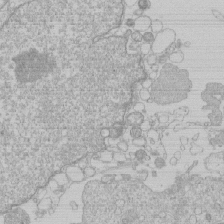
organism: Human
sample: Macrophage cells